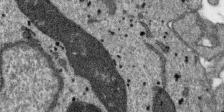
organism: Human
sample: Lung epithelial cells, uninfected (mock) control